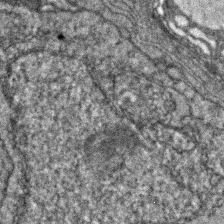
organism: Zebrafish